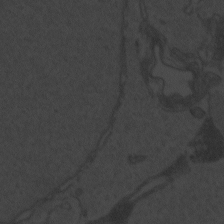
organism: Zebrafish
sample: Macrophage infected with Toxoplasma gondii